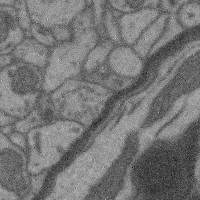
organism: Mouse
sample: Cerebral cortex